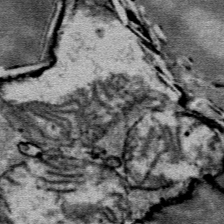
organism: Mouse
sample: Mouse Salivary gland